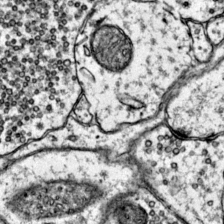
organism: Mouse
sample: Primary visual cortex